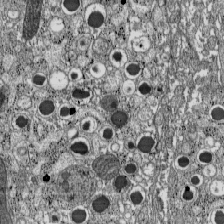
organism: C57BL Mouse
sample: Pancreatic islet